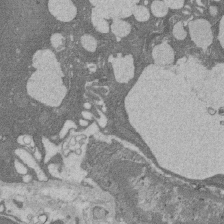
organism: Rat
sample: Salivary granule